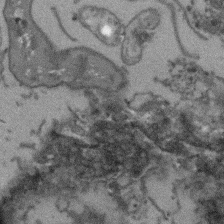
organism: Arabidopsis thaliana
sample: Root tip